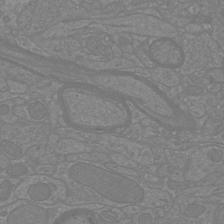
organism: Mouse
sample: Cortical neurons